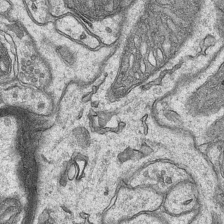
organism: Mouse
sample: CA1 Hippocampus